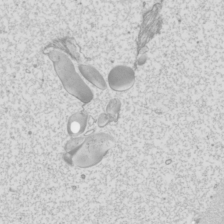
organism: Mouse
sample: Cilia; mouse epididymis